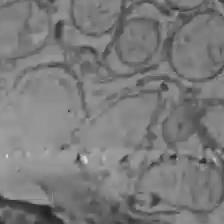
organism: C57BL Mouse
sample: Liver